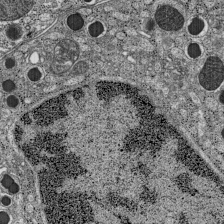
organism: C57BL Mouse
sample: Pancreatic islet